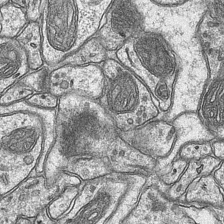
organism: Mouse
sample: CA1 Hippocampus